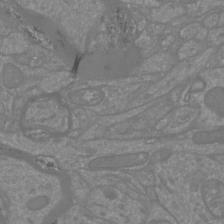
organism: Mouse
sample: Cortical neurons